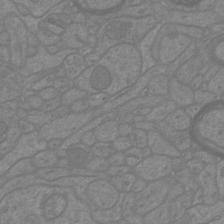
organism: Mouse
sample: Cortical neurons